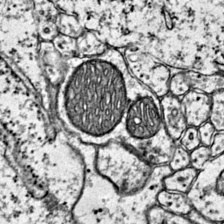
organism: Mouse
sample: Primary visual cortex